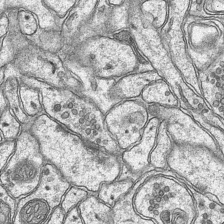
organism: Mouse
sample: CA1 Hippocampus